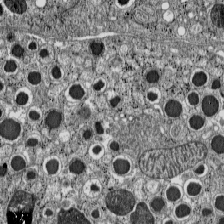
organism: C57BL Mouse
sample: Pancreatic islet